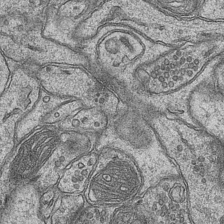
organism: Mouse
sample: CA1 Hippocampus